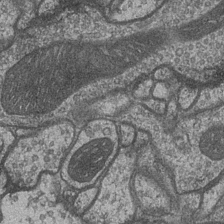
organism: Drosophila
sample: Optic medulla